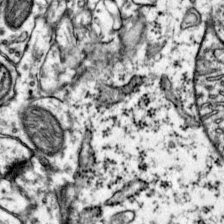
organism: Mouse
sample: Primary visual cortex